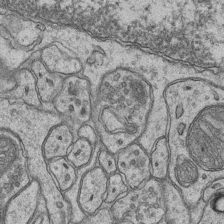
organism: Mouse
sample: CA1 Hippocampus